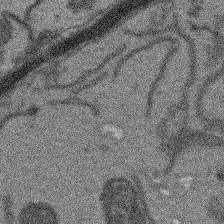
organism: Arabidopsis thaliana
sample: Root tip